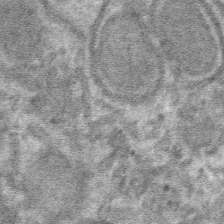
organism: Mouse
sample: Mouse hepatocytes